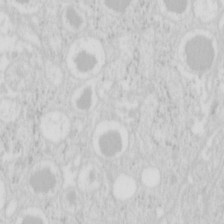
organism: Mouse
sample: Pancreas